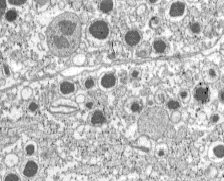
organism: C57BL Mouse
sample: Pancreatic islet